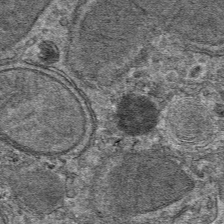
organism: Mouse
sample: Mouse hepatocytes